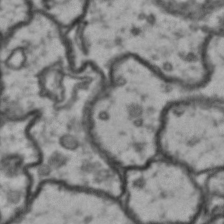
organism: Drosophila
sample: Brain